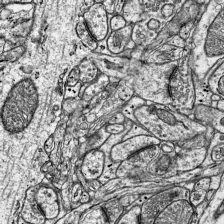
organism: Mouse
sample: Visual Cortex